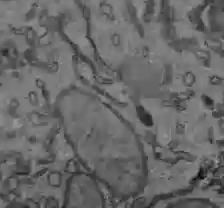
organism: C57BL Mouse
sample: Liver